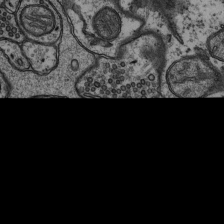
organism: Rat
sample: Hippocampus